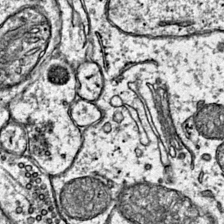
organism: Mouse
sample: Primary visual cortex